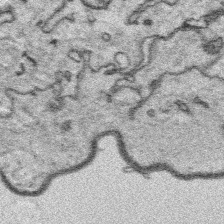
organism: Platynereis dumerilii